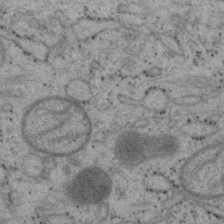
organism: Human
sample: HeLa cells